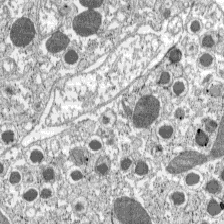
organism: C57BL Mouse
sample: Pancreatic islet